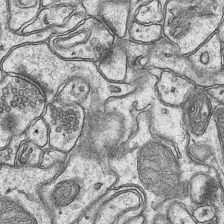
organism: Mouse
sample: CA1 Hippocampus